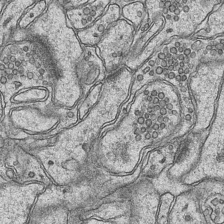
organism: Mouse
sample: CA1 Hippocampus